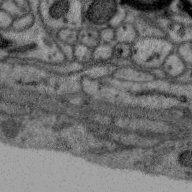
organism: Zebra finch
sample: Brain